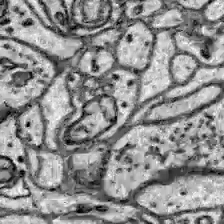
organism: Zebrafish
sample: Brain